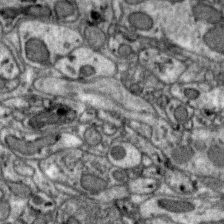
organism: Zebra finch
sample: Brain